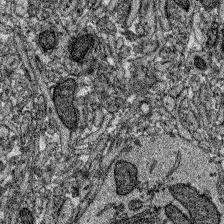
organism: Zebrafish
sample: Larval olfactory bulb